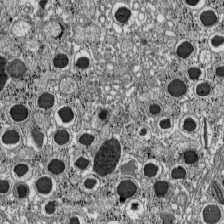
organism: C57BL Mouse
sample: Pancreatic islet